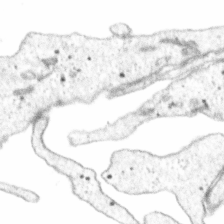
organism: Human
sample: HeLa cells